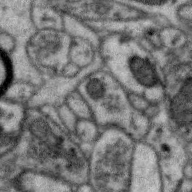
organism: Zebra finch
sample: Brain